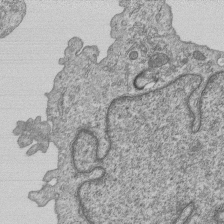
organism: Human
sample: MDA-MB-231 cells